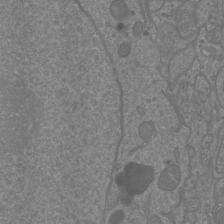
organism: Mouse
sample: Cortical neurons